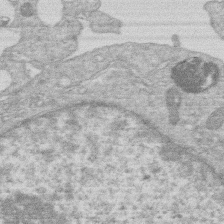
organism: Human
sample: Macrophage cells